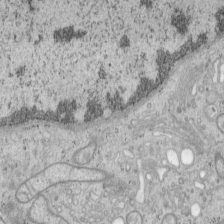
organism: Mouse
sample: OT-I killer T cells with ID8 ovarian cancer cells